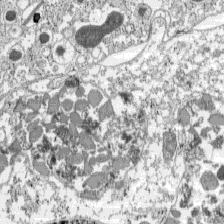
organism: C57BL Mouse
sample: Pancreatic islet